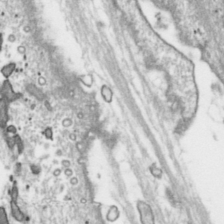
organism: Toxoplasma gondii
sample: Parasites in a vacuole inside a host cell